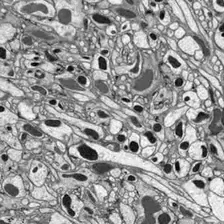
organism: Drosophila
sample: Optic lobe